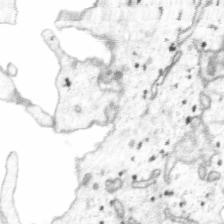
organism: Human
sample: HeLa cells